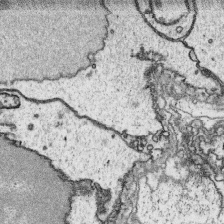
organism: Platynereis dumerilii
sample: Parapodia